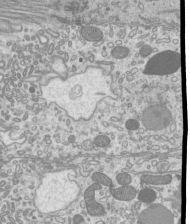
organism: Mouse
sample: Cilia; mouse epididymis